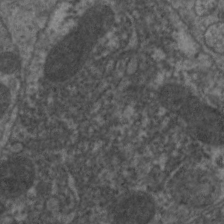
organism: C. elegans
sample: Pharynx